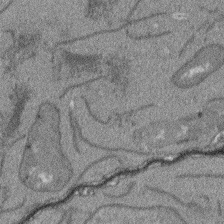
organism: Arabidopsis thaliana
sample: Root tip